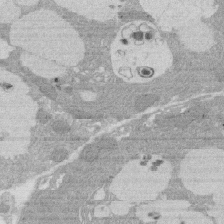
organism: Rat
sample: Salivary granule